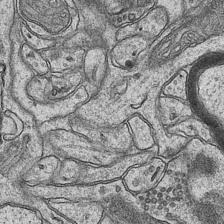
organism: Mouse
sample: CA1 Hippocampus